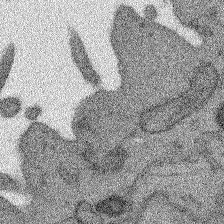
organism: Human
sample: HeLa cells